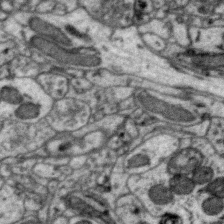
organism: Zebra finch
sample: Brain